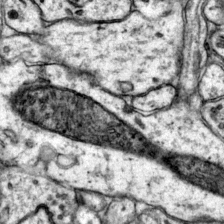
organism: Mouse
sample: Primary visual cortex